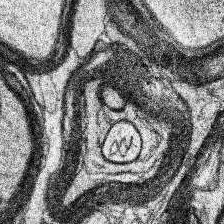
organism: Human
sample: Temporal Lobe